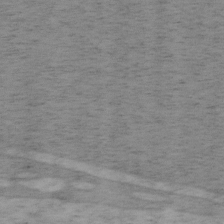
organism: Mouse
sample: OT-I killer T cells with ID8 ovarian cancer cells